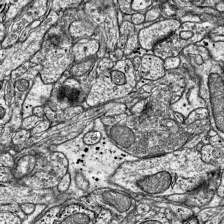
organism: Mouse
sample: Visual Cortex